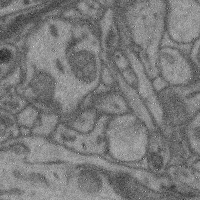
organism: Mouse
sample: Cerebral cortex